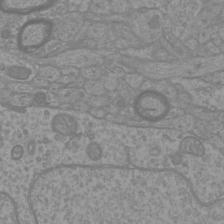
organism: Mouse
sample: Cortical neurons